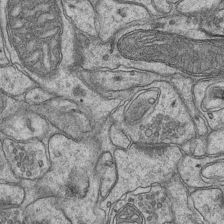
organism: Mouse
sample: CA1 Hippocampus